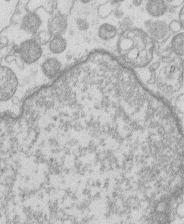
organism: Human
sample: Macrophage cells